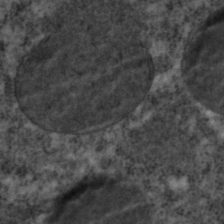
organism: C. elegans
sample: C. elegans embryo